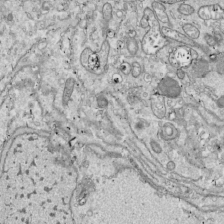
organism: Drosophila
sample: Cell division; meiosis; drosophila spermatocytes